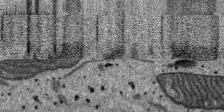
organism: Human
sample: Lung epithelial cells, uninfected (mock) control